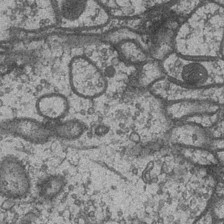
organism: Drosophila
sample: Optic medulla